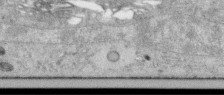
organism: Human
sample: Centriole in RPE cells